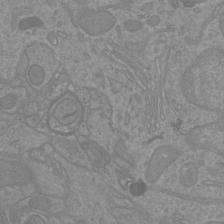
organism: Mouse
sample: Cortical neurons